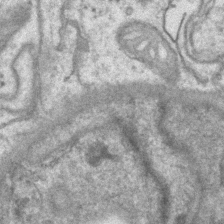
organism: Mouse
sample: CA1 Hippocampus